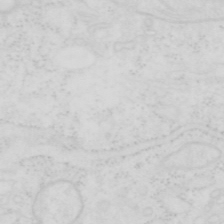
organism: Human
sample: SUM-159 cell